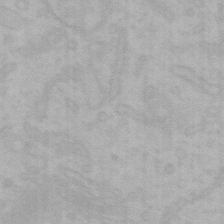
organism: Mouse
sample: Choroid plexus